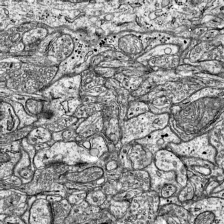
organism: Mouse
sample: Visual Cortex